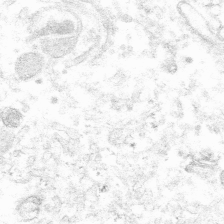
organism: Mouse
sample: Mouse hepatocytes